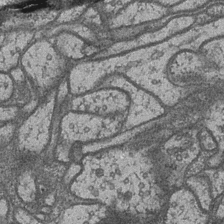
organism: Drosophila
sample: Optic medulla